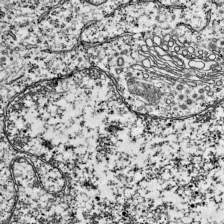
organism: Mouse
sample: Visual Cortex